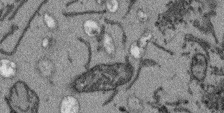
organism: Arabidopsis thaliana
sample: Root tip